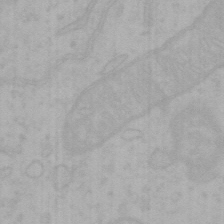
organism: Mouse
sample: Choroid plexus